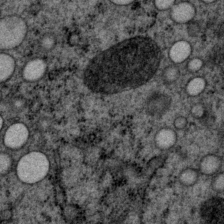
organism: P. pacificus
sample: Pharynx